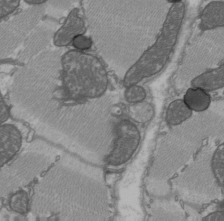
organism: C57BL Mouse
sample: Heart